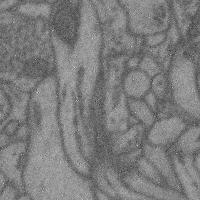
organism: Mouse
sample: Cerebral cortex